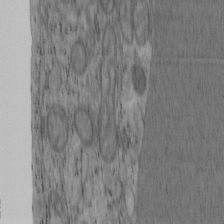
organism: Human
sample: HeLa cells